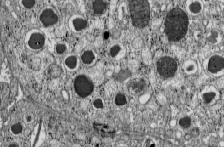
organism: C57BL Mouse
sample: Pancreatic islet